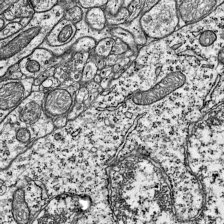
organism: Mouse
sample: Visual Cortex